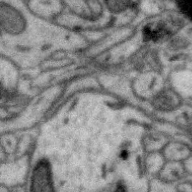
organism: Zebra finch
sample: Brain